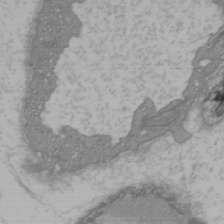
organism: C57BL Mouse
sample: Heart